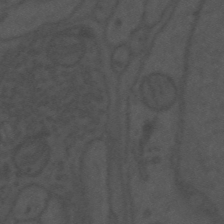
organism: Mouse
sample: Suprachiasmatic nucleus